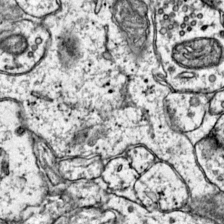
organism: Mouse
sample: Primary visual cortex